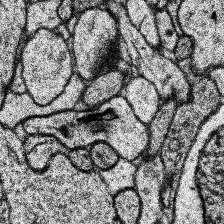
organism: Human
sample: Temporal Lobe